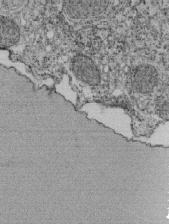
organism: Tetrahymena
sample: Cilia in tetrahymena